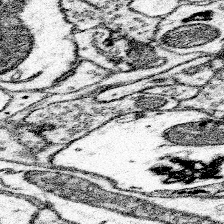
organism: Mouse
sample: Somatosensory cortex neuropil